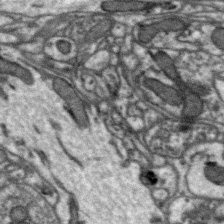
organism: Zebra finch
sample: Brain